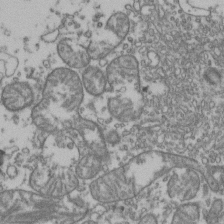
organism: Human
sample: Activated Jurkat CD4+ T cells